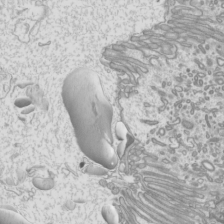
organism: Mouse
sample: Cilia; mouse epididymis